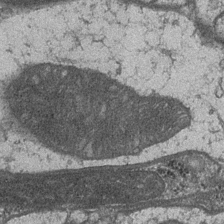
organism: Drosophila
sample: Optic medulla